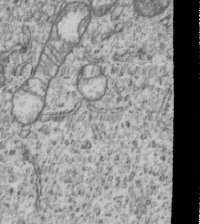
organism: Human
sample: MDA-MB-231 cells